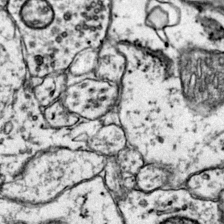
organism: Mouse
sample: Primary visual cortex